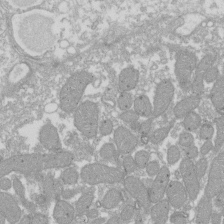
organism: Xenopus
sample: Cilia; centrioles in frog embryo cells